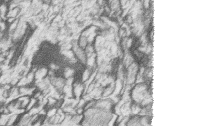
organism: Zebrafish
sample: synaptic ribbons in rod cells and cone cells